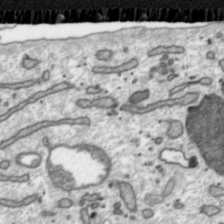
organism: Toxoplasma gondii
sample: Parasites in a vacuole inside a host cell